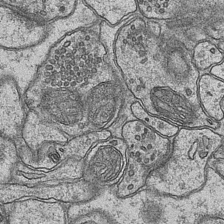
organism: Mouse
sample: CA1 Hippocampus